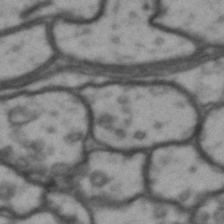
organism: Drosophila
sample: Brain